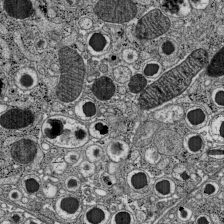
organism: C57BL Mouse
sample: Pancreatic islet